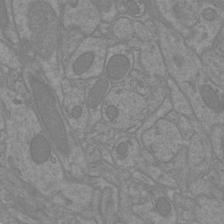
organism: Mouse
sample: Cortical neurons